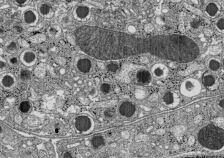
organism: C57BL Mouse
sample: Pancreatic islet